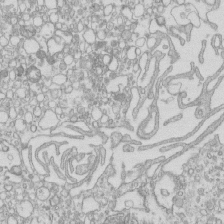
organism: Mouse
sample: Macrophages